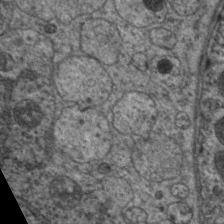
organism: C. elegans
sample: Pharynx